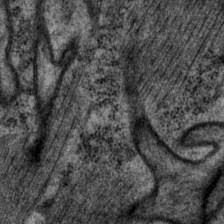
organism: P. pacificus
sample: Pharynx